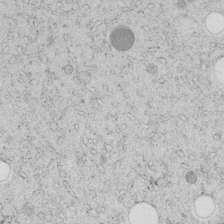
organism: C. elegans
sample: C. elegans embryo early stage